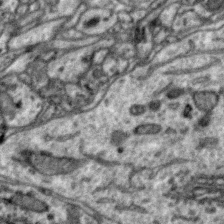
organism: Zebra finch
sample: Brain